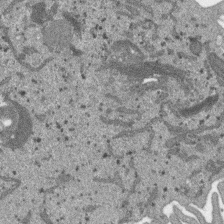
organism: Human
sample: Lung epithelial cells infected with SARS-CoV-2